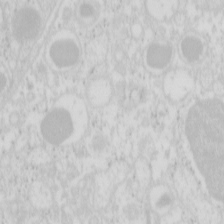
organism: Mouse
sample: Pancreas